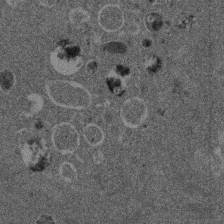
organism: Mouse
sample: Dividing mouse embryo 1 cell stage